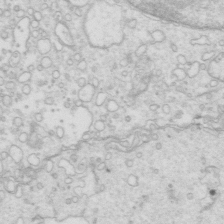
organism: Mouse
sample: Multiciliated cells